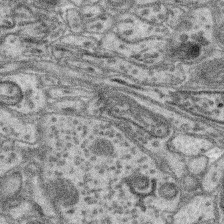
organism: Mouse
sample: Retina